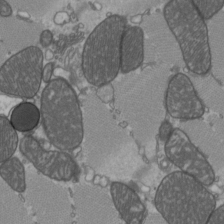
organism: C57BL Mouse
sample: Heart